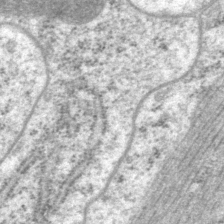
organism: P. pacificus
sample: Pharynx